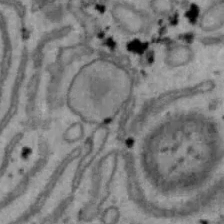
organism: Mouse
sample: Liver